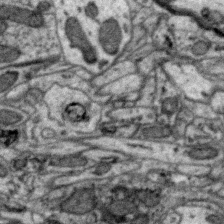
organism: Zebra finch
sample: Brain